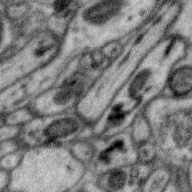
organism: Zebra finch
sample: Brain